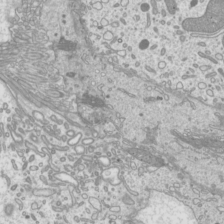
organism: Mouse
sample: Cilia; mouse epididymis